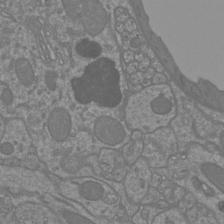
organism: Mouse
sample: Cortical neurons